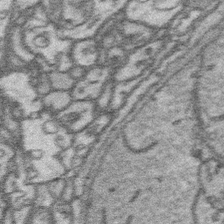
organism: Platynereis dumerilii